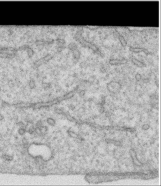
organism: Human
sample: Centriole in RPE cells